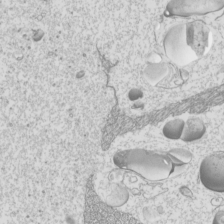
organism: Mouse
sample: Cilia; mouse epididymis